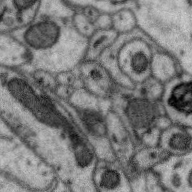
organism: Zebra finch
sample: Brain